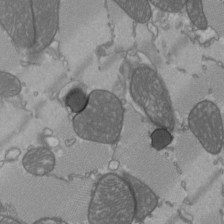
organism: C57BL Mouse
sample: Heart